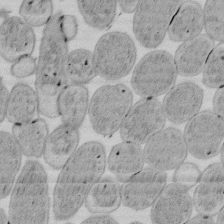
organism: E. coli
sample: Bacterial nucleoid